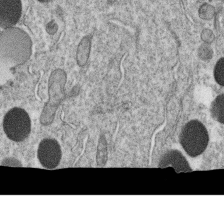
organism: C. elegans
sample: C. elegans oocyte; sperm cells